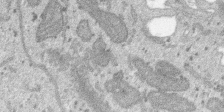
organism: Human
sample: Lung epithelial cells infected with SARS-CoV-2